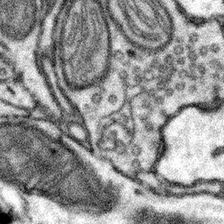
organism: Mouse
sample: Somatosensory cortex neuropil